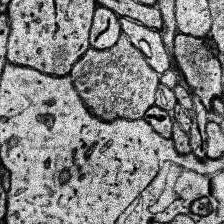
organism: Human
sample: Temporal Lobe